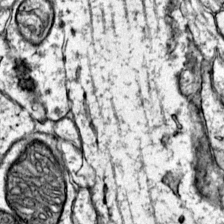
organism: Mouse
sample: Primary visual cortex